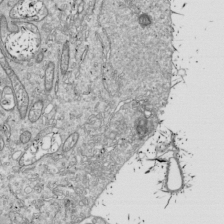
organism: Drosophila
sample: Cell division; meiosis; drosophila spermatocytes